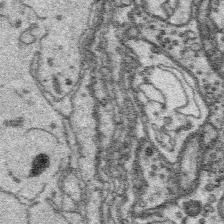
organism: Platynereis dumerilii